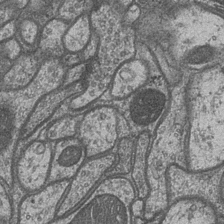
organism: Drosophila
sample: Optic medulla